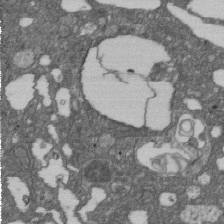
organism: Drosophila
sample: Nephrocyte